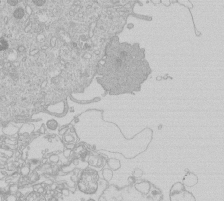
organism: Human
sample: Macrophage cells